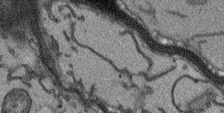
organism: Arabidopsis thaliana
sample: Root tip